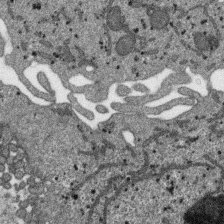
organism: Human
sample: Lung epithelial cells infected with SARS-CoV-2